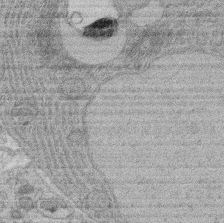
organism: Rat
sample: Salivary granule